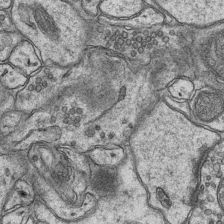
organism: Mouse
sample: CA1 Hippocampus